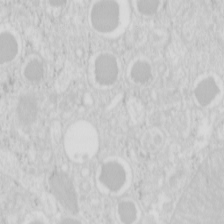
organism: Mouse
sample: Pancreas